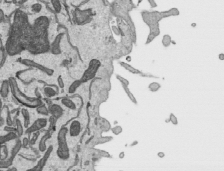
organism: Human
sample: Mitochondria in HCT116 cells